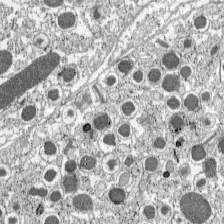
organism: C57BL Mouse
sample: Pancreatic islet